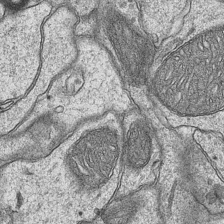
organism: Mouse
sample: CA1 Hippocampus